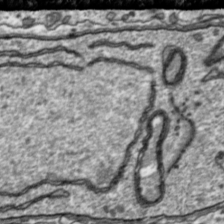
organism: Toxoplasma gondii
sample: Parasites in a vacuole inside a host cell